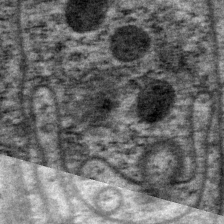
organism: P. pacificus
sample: Pharynx